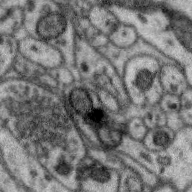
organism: Zebra finch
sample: Brain